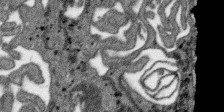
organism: Human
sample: Lung epithelial cells, uninfected (mock) control